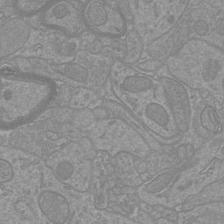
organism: Mouse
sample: Cortical neurons